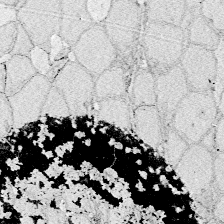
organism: Zebrafish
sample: Whole-Brain